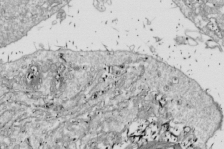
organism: Drosophila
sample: Cell division; meiosis; drosophila spermatocytes